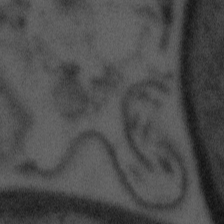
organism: Tuwongella immobilis